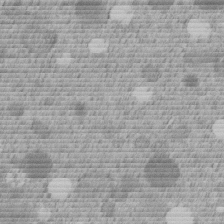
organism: C. elegans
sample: C. elegans embryo early stage